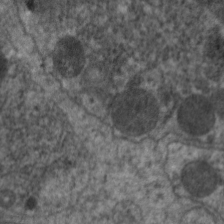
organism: C. elegans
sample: Pharynx